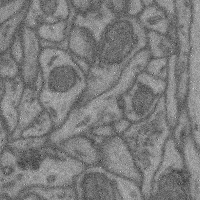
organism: Mouse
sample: Cerebral cortex